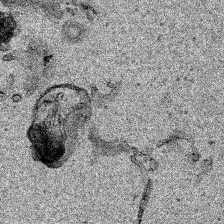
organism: Human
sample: Mitochondria in HCT116 cells